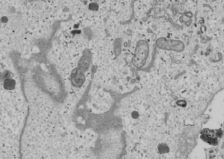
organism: Human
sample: Mitochondria in U2OS cells